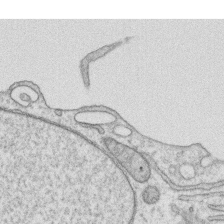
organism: Human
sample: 1205lu cells